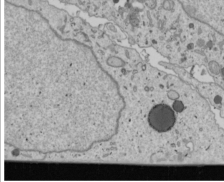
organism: Human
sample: Mitochondria in U2OS cells